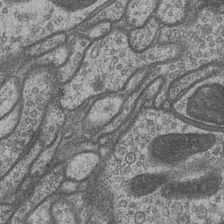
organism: Drosophila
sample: Optic medulla